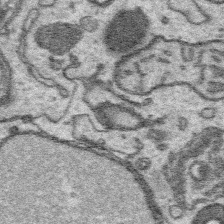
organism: Platynereis dumerilii